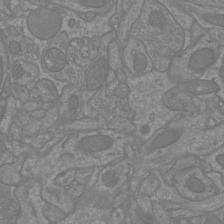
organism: Mouse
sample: Cortical neurons